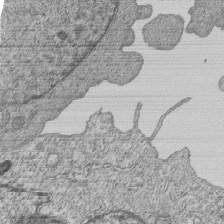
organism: Human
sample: MDA-MB-231 cells